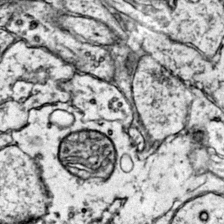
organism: Mouse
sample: Primary visual cortex